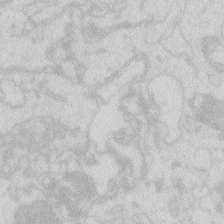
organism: Zebrafish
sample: Macrophage